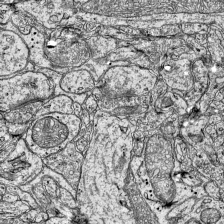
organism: Mouse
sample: Visual Cortex